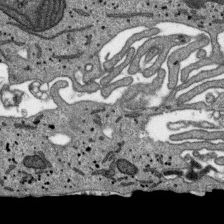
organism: Human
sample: Lung epithelial cells, uninfected (mock) control